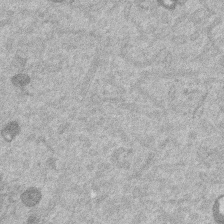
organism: Mouse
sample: Dividing mouse embryo 1 cell stage